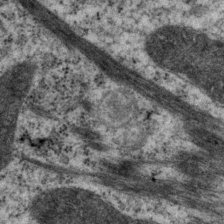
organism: P. pacificus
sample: Pharynx